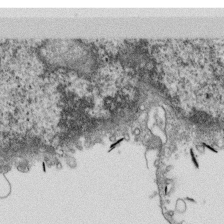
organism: African green monkey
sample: Vero E6 cells infected with SARS-CoV-2